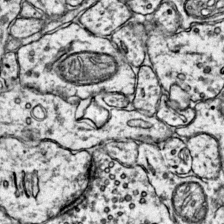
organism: Mouse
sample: Primary visual cortex